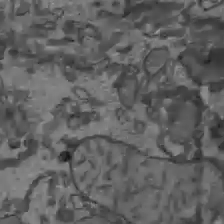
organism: C57BL Mouse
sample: Liver